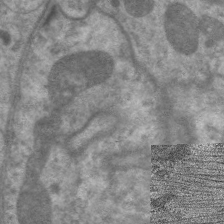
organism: C. elegans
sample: Pharynx